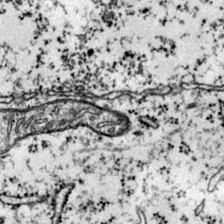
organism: Mouse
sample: Primary visual cortex